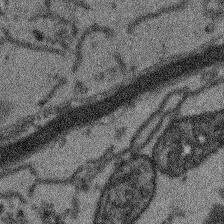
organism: Arabidopsis thaliana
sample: Root tip